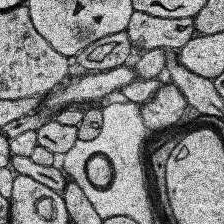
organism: Human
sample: Temporal Lobe